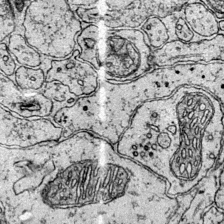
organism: Mouse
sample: Primary visual cortex